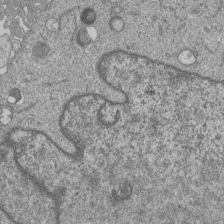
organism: Human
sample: MDA-MB-231 cells